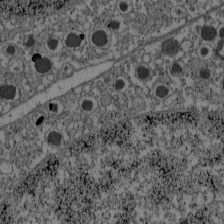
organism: C57BL Mouse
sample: Pancreatic islet